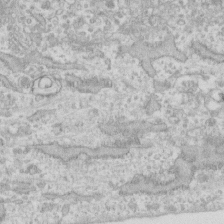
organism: Human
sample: Fibroblast cells